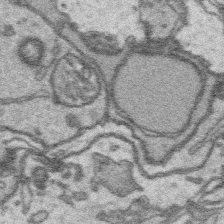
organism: Platynereis dumerilii